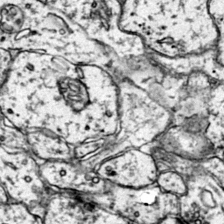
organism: Mouse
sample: Primary visual cortex